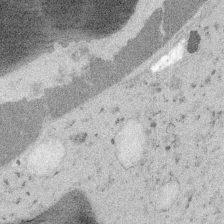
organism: Embia sp.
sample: Silk gland